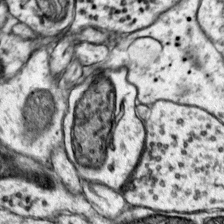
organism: Mouse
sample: Primary visual cortex